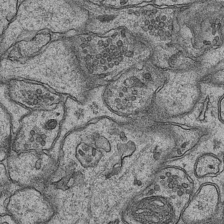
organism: Mouse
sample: CA1 Hippocampus